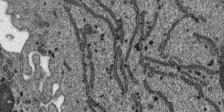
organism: Human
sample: Lung epithelial cells infected with SARS-CoV-2